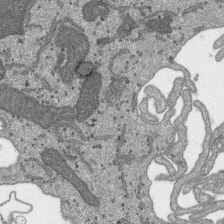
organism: Human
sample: Lung epithelial cells infected with SARS-CoV-2